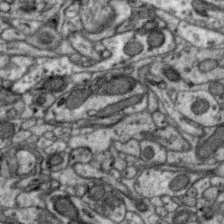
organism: Zebra finch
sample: Brain